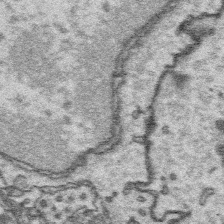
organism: Platynereis dumerilii